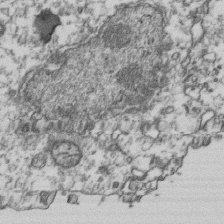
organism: Human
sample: Activated Jurkat CD4+ T cells